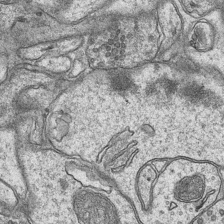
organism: Mouse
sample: CA1 Hippocampus